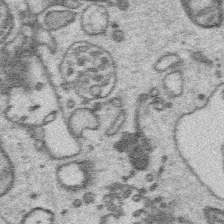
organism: Platynereis dumerilii